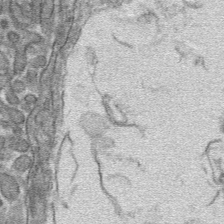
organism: Mouse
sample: Mouse hepatocytes